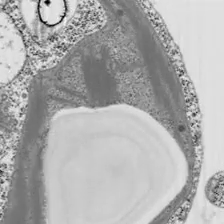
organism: Chlamydomonas reinhardtii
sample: Whole Cell